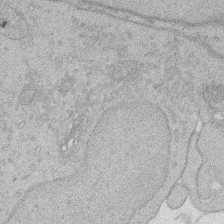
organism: Rat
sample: Salivary granule